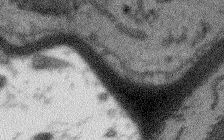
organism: Arabidopsis thaliana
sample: Root tip